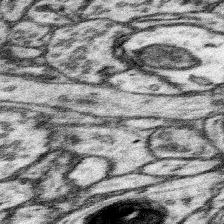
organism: Mouse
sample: Somatosensory cortex neuropil